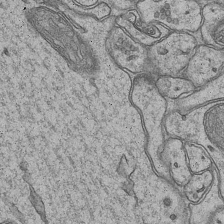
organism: Mouse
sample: CA1 Hippocampus